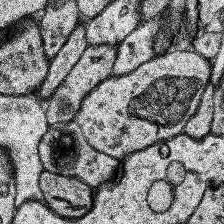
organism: Human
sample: Temporal Lobe